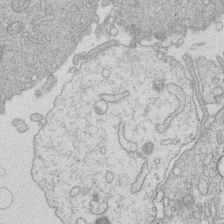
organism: Human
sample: Macrophage cells